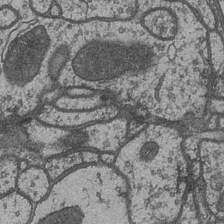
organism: Drosophila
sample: Optic medulla